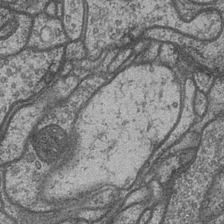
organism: Drosophila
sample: Optic medulla